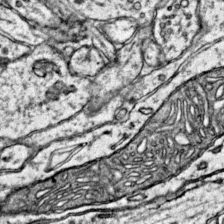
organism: Mouse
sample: Primary visual cortex